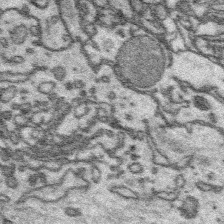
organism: Platynereis dumerilii